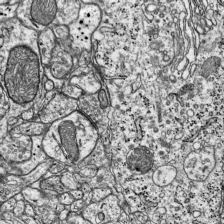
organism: Mouse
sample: Visual Cortex